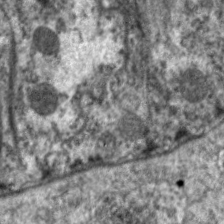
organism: C. elegans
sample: Pharynx